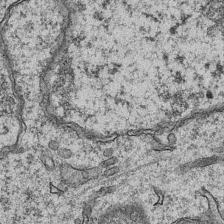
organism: Mouse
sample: CA1 Hippocampus